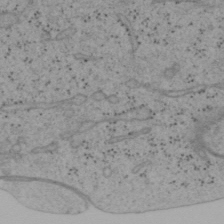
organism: Human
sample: HeLa cells